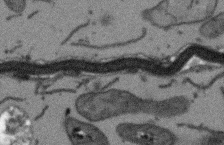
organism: Arabidopsis thaliana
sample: Root tip